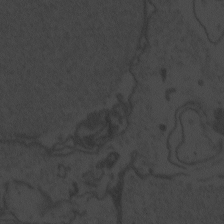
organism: Zebrafish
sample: Macrophage infected with Toxoplasma gondii